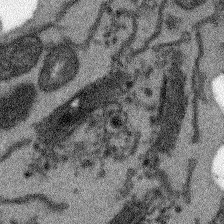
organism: Arabidopsis thaliana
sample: Root tip